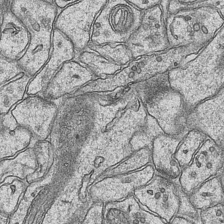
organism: Mouse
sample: CA1 Hippocampus